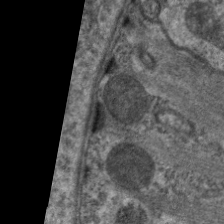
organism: C. elegans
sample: Pharynx